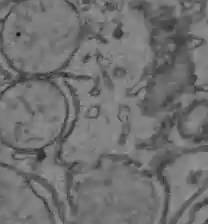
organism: C57BL Mouse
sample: Liver